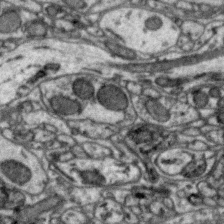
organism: Zebra finch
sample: Brain